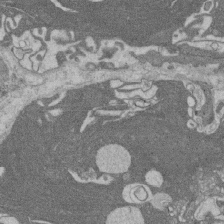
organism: Rat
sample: Salivary granule